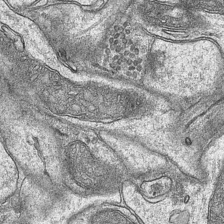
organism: Mouse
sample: CA1 Hippocampus